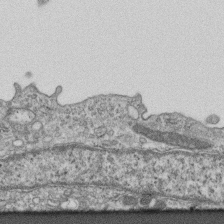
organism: Mouse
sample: Centriole in ependymal cells